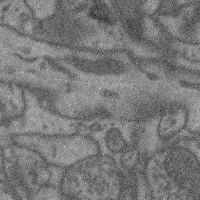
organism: Mouse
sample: Cerebral cortex